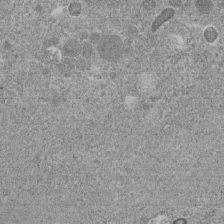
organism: C. elegans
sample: C. elegans embryo early stage